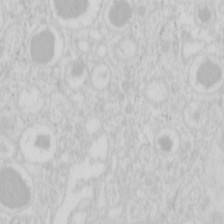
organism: Mouse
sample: Pancreas